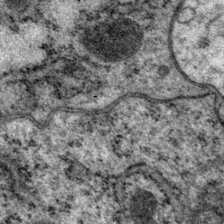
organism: P. pacificus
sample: Pharynx